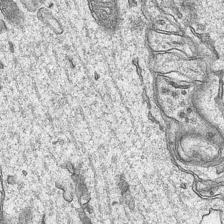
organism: Mouse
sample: CA1 Hippocampus